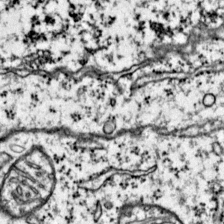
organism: Mouse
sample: Primary visual cortex